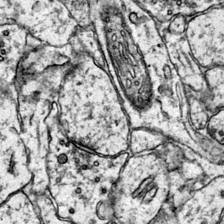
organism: Mouse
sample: Primary visual cortex